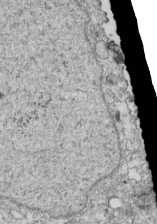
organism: Human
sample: HeLa cell HIV synapse